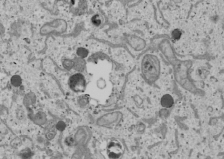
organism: Human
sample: Mitochondria in U2OS cells